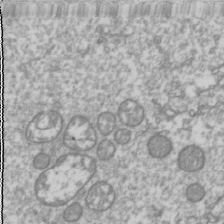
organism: Drosophila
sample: Cell division; meiosis; drosophila spermatocytes